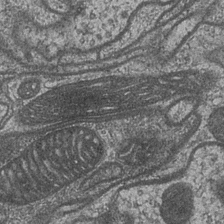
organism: Drosophila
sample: Optic medulla